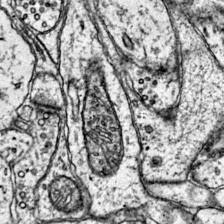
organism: Mouse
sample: Primary visual cortex